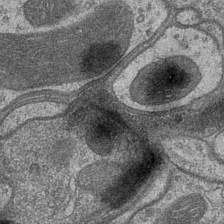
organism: Drosophila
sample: Optic medulla